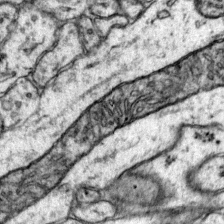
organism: Mouse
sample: Primary visual cortex